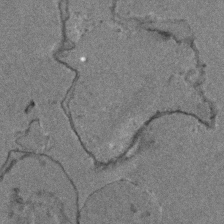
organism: Zebrafish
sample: Zebrafish embryo